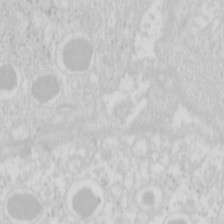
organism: Mouse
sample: Pancreas